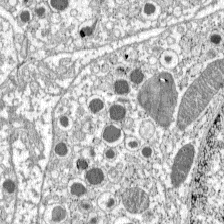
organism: C57BL Mouse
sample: Pancreatic islet